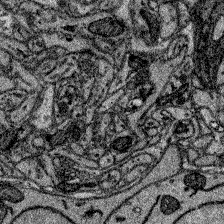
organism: Zebrafish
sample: Larval olfactory bulb